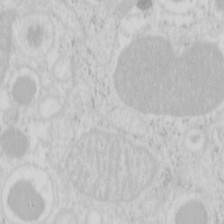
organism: Mouse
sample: Pancreas